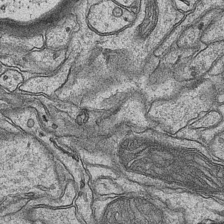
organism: Mouse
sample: CA1 Hippocampus